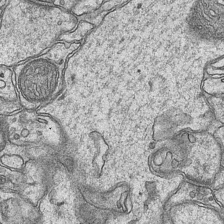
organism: Mouse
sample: CA1 Hippocampus